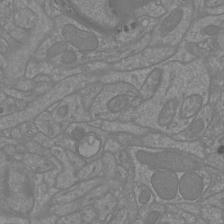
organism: Mouse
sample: Cortical neurons